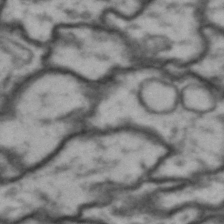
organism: Drosophila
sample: Brain